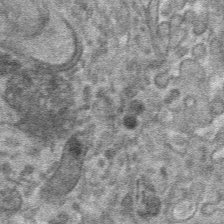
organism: Mouse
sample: Mouse hepatocytes